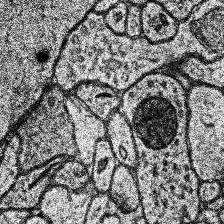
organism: Human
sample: Temporal Lobe